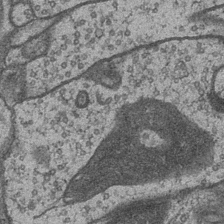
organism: Drosophila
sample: Optic medulla